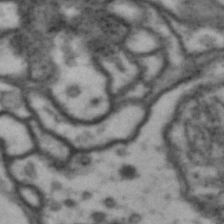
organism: Drosophila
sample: Brain